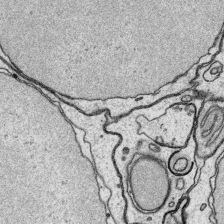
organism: Platynereis dumerilii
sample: Parapodia